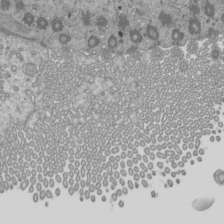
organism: Mouse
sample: Cilia; mouse epididymis